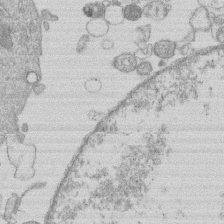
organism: Human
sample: Macrophage cells